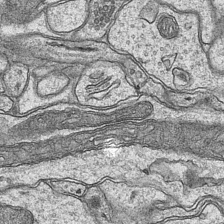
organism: Mouse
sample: CA1 Hippocampus